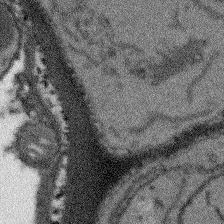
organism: Arabidopsis thaliana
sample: Root tip